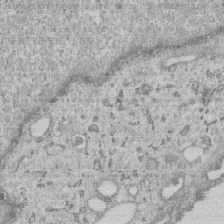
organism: Human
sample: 1205lu cells